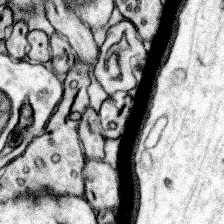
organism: Mouse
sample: Somatosensory cortex neuropil